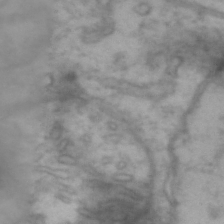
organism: Drosophila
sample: Brain